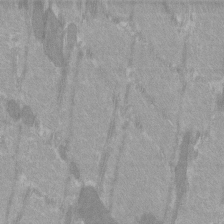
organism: C57BL Mouse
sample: Tibialis anterior muscle cell